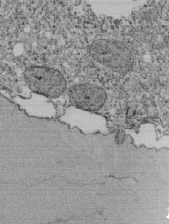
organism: Tetrahymena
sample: Cilia in tetrahymena